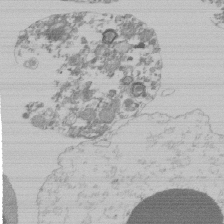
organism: Mouse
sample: Activated Pmel transgenic CD8+ T Cells